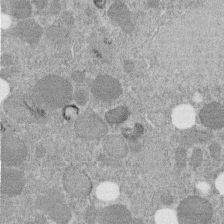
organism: C. elegans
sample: C. elegans embryo early stage